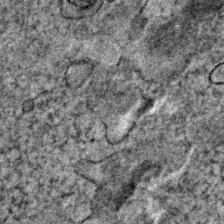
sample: Trachea